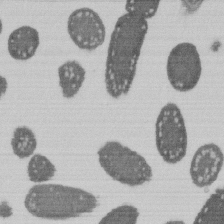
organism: E. coli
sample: Bacterial nucleoid